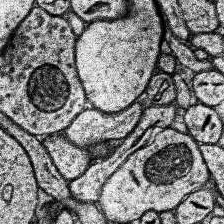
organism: Human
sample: Temporal Lobe